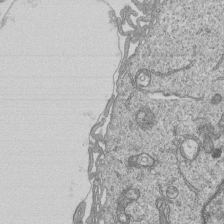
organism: Human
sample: MDA-MB-231 cells